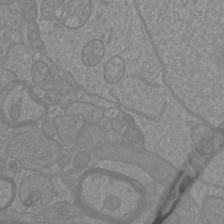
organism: Mouse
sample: Cortical neurons